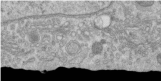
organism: Human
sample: Centriole in RPE cells